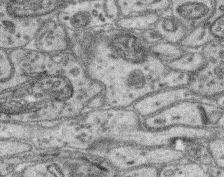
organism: Mouse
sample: Retina